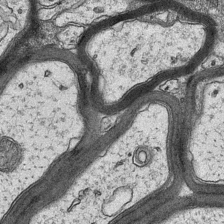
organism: Mouse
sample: CA1 Hippocampus